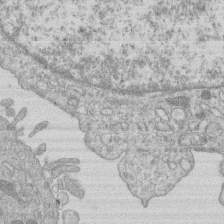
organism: Human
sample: Macrophage cells